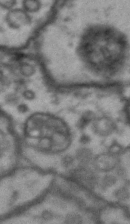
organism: Drosophila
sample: Brain